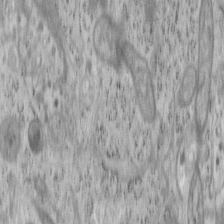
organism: Human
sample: HeLa cells